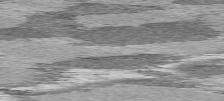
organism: C57BL Mouse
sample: Heart